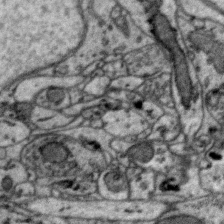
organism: Zebra finch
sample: Brain